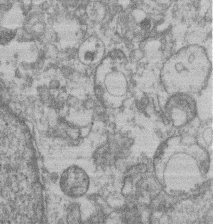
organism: Mouse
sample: T cell stromal cell synapse